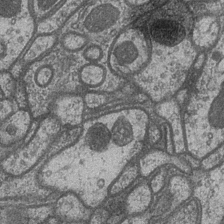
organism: Drosophila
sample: Optic medulla